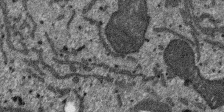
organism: Human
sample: Lung epithelial cells infected with SARS-CoV-2